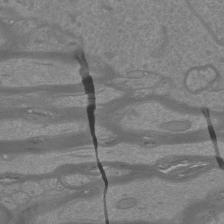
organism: Mouse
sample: Cortical neurons